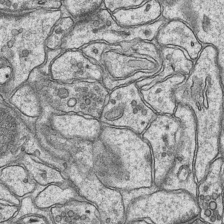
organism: Mouse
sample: CA1 Hippocampus